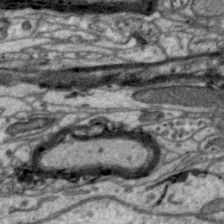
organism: Zebra finch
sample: Brain